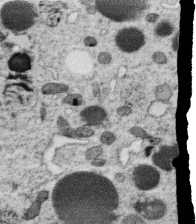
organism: C. elegans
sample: C. elegans oocyte; sperm cells